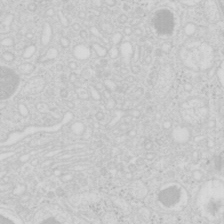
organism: Mouse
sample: Pancreas